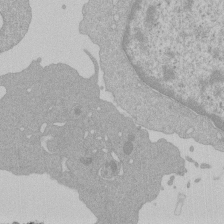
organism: Mouse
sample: Activated Pmel transgenic CD8+ T Cells